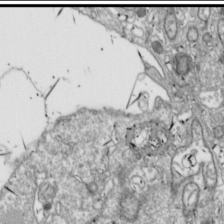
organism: Drosophila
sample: Cell division; meiosis; drosophila spermatocytes